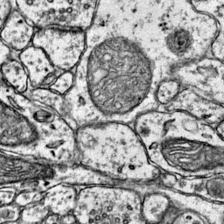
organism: Mouse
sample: Primary visual cortex